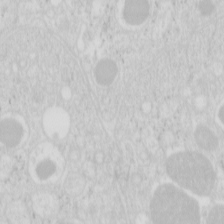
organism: Mouse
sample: Pancreas